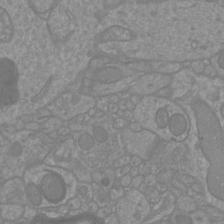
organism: Mouse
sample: Cortical neurons